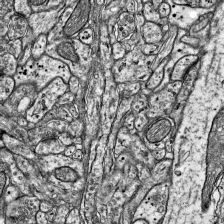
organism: Mouse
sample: Visual Cortex